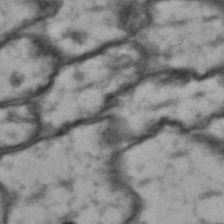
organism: Drosophila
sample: Brain